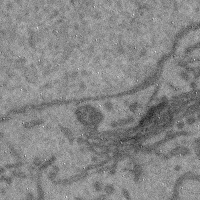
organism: Mouse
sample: Cerebral cortex